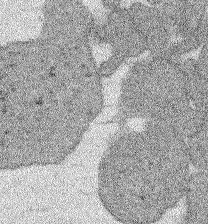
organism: Human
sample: HeLa cells